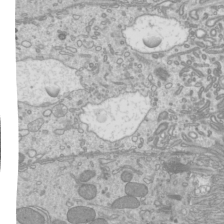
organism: Mouse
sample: Cilia; mouse epididymis